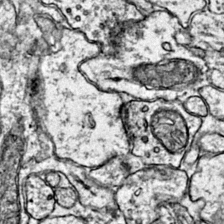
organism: Mouse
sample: Primary visual cortex